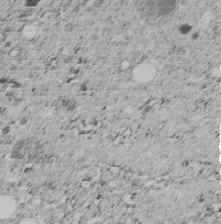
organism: C. elegans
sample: C. elegans embryo early stage